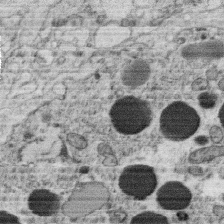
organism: C. elegans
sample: C. elegans oocyte; sperm cells